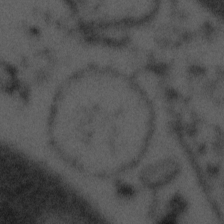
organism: Tuwongella immobilis